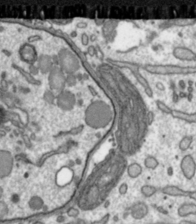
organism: Toxoplasma gondii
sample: Parasites in a vacuole inside a host cell